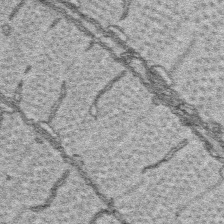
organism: Platynereis dumerilii